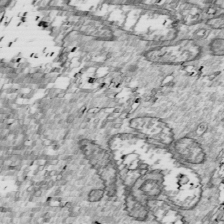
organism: Drosophila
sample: Cell division; meiosis; drosophila spermatocytes